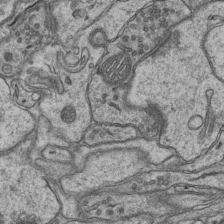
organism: Mouse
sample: CA1 Hippocampus